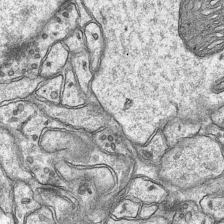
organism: Mouse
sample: CA1 Hippocampus